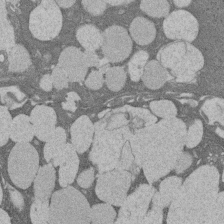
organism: Rat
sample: Salivary granule